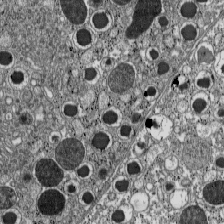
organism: C57BL Mouse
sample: Pancreatic islet